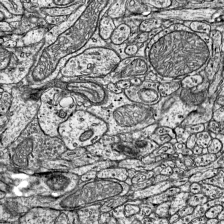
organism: Mouse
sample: Visual Cortex